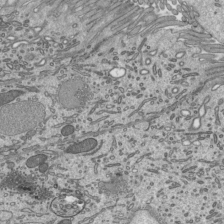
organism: Mouse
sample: Mouse epididymis efferent ductule cilia